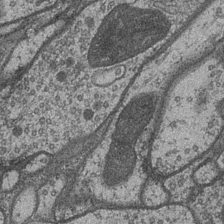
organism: Drosophila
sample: Optic medulla